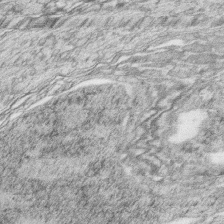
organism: Zebrafish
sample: synaptic ribbons in rod cells and cone cells